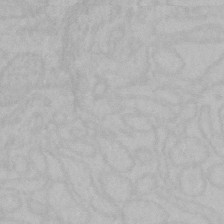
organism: Mouse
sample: Choroid plexus